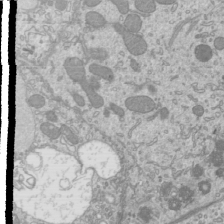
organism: Mouse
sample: Cilia; mouse epididymis